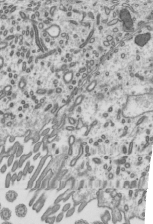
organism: Mouse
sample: Mouse epididymis efferent ductule cilia